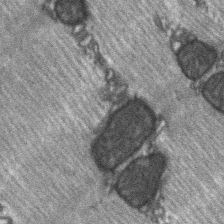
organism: C57BL Mouse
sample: Soleus